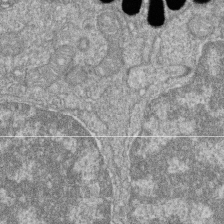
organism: Zebrafish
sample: Cilia; retinal pigment epithelium